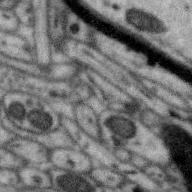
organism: Zebra finch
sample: Brain